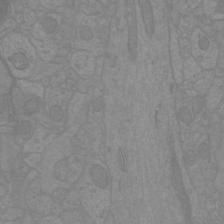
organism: Mouse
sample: Cortical neurons